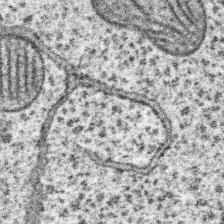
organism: Human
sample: HeLa cells